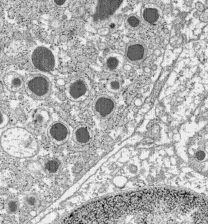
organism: C57BL Mouse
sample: Pancreatic islet